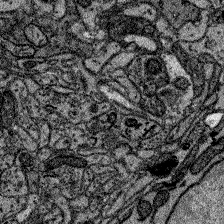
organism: Zebrafish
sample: Larval olfactory bulb